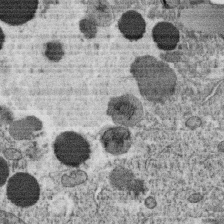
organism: C. elegans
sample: C. elegans oocyte; sperm cells